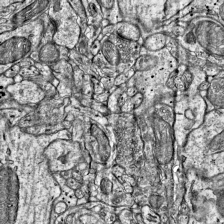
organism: Mouse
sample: Visual Cortex